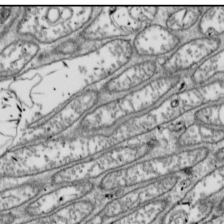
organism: Drosophila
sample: Cell division; meiosis; drosophila spermatocytes